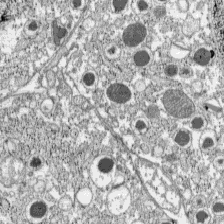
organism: C57BL Mouse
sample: Pancreatic islet